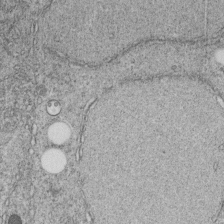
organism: C. elegans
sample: C. elegans embryo early stage